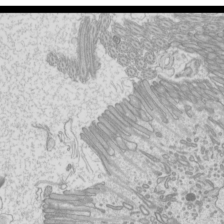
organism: Mouse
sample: Cilia; mouse epididymis